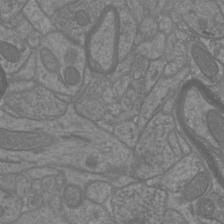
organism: Mouse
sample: Cortical neurons